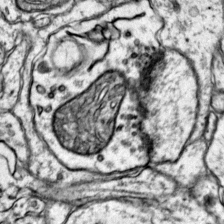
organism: Mouse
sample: Primary visual cortex